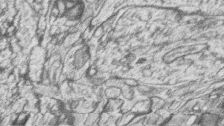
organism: Zebrafish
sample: synaptic ribbons in rod cells and cone cells